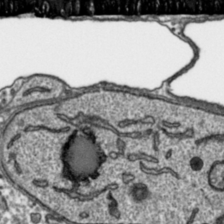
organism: Toxoplasma gondii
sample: Parasites in a vacuole inside a host cell